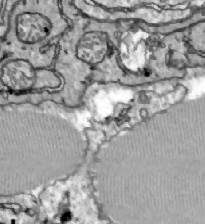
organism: Zebrafish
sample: Actinotrichia fibers